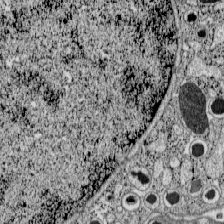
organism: C57BL Mouse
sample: Pancreatic islet